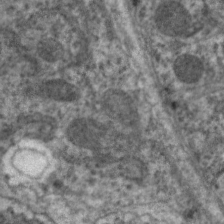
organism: C. elegans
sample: Pharynx